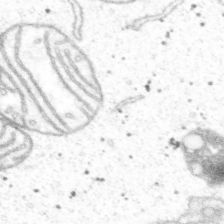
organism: Human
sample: HeLa cells